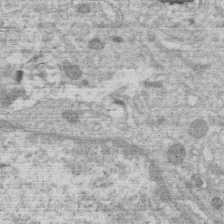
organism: Human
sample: Macrophage cells